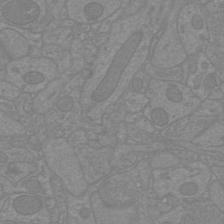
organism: Mouse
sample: Cortical neurons